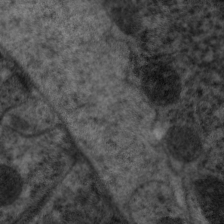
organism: C. elegans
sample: Pharynx